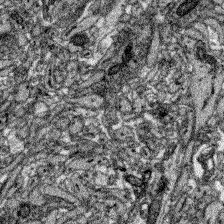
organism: Zebrafish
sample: Larval olfactory bulb